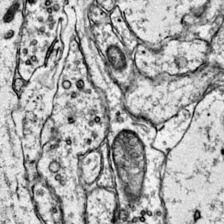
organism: Mouse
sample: Primary visual cortex